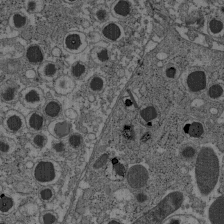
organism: C57BL Mouse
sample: Pancreatic islet